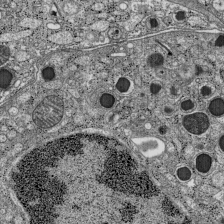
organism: C57BL Mouse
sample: Pancreatic islet